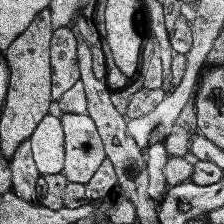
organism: Human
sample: Temporal Lobe